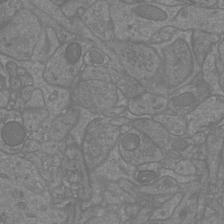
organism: Mouse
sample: Cortical neurons